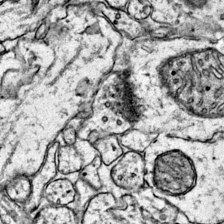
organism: Mouse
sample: Primary visual cortex